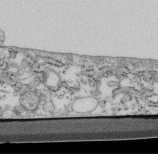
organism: Mouse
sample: Cilia; retinal pigment epithelium